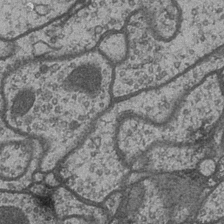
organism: Drosophila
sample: Optic medulla